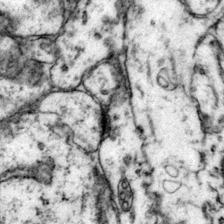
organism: Mouse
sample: Primary visual cortex